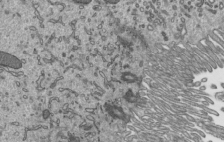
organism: Mouse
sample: Mouse epididymis efferent ductule cilia